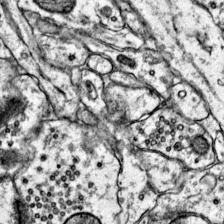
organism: Mouse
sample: Primary visual cortex